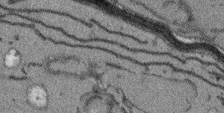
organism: Arabidopsis thaliana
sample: Root tip